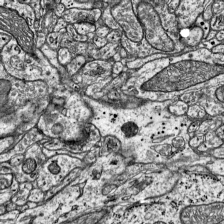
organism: Mouse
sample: Visual Cortex